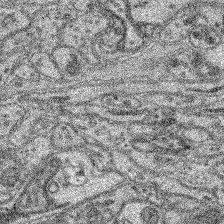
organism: Mouse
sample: Retina